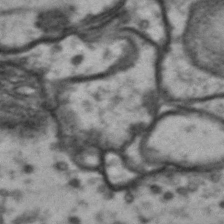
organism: Drosophila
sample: Brain